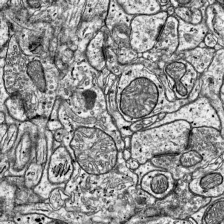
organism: Mouse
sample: Visual Cortex